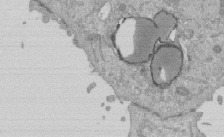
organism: Mouse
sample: ED-1 cell nuclei; centrioles